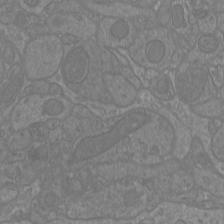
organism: Mouse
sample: Cortical neurons